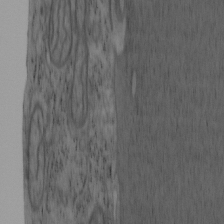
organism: Human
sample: HeLa cells